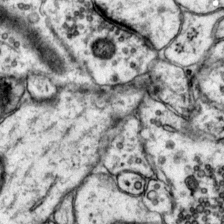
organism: Mouse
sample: Primary visual cortex